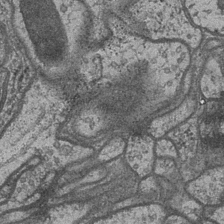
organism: Drosophila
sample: Optic medulla